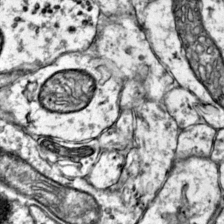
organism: Mouse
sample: Primary visual cortex